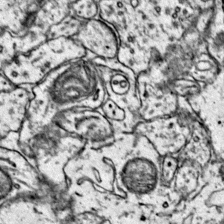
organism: Mouse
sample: Primary visual cortex